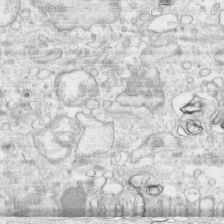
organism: Human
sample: CRL-1474